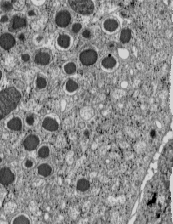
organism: C57BL Mouse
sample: Pancreatic islet